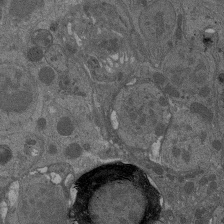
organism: Drosophila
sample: Antenna